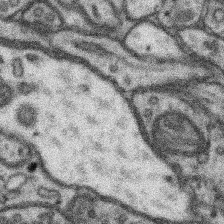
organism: Mouse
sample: Somatosensory cortex neuropil